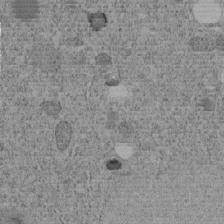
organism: C. elegans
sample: C. elegans embryo early stage